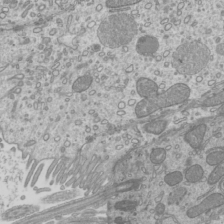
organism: Mouse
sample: Cilia; mouse epididymis